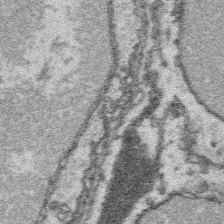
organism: Platynereis dumerilii